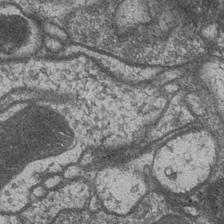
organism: Drosophila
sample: Optic medulla